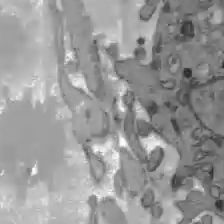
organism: C57BL Mouse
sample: Liver